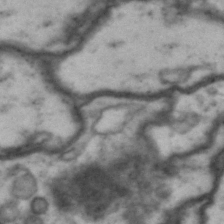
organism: Drosophila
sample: Brain